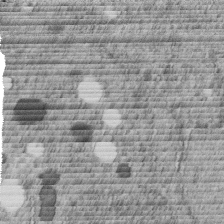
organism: C. elegans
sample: C. elegans embryo early stage